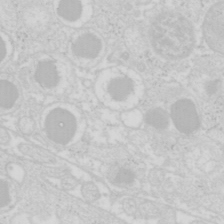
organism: Mouse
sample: Pancreas